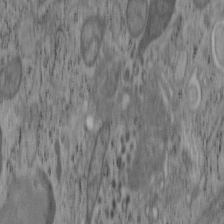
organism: Human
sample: HeLa cells